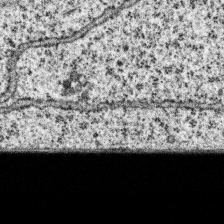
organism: Human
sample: HeLa cells